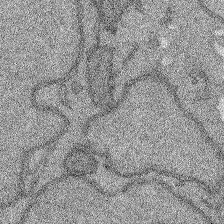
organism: Human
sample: HeLa cells